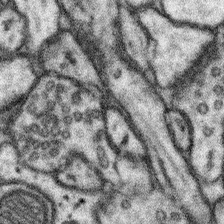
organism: Mouse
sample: Somatosensory cortex neuropil